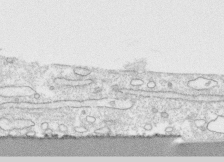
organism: Human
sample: CRL-1474